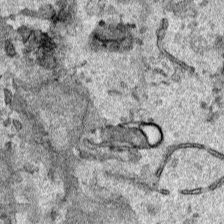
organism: Human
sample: Mitochondria in HCT116 cells